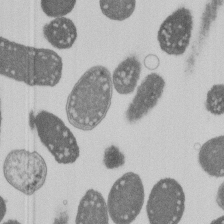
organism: E. coli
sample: Bacterial nucleoid